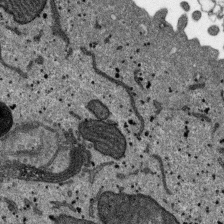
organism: Human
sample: Lung epithelial cells, uninfected (mock) control